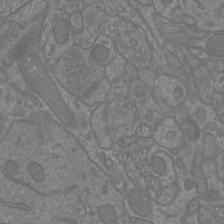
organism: Mouse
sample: Cortical neurons